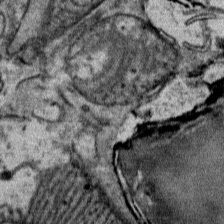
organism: Mouse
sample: Mouse Salivary gland